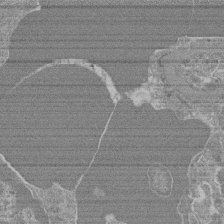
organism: Mouse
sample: Glomerulus